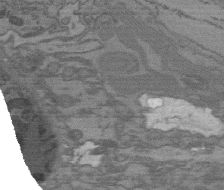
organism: C. elegans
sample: AFD neurons C. elegans